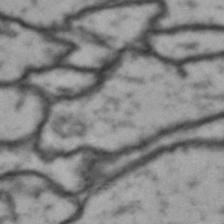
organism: Drosophila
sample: Brain